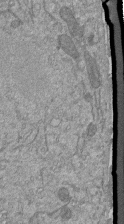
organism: Mouse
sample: ED-1 cell nuclei; centrioles